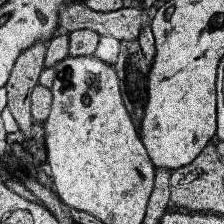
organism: Human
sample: Temporal Lobe